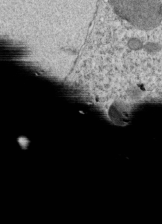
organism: C. elegans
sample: C. elegans embryo early stage